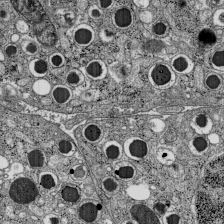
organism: C57BL Mouse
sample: Pancreatic islet